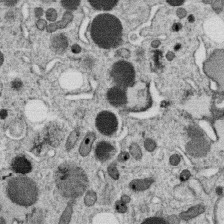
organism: C. elegans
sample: C. elegans oocyte; sperm cells